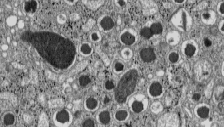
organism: C57BL Mouse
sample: Pancreatic islet